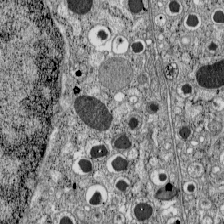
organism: C57BL Mouse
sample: Pancreatic islet